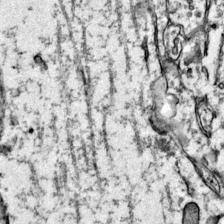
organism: Mouse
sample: Primary visual cortex